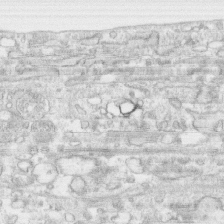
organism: Human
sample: CRL-1474